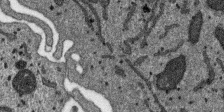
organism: Human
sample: Lung epithelial cells infected with SARS-CoV-2